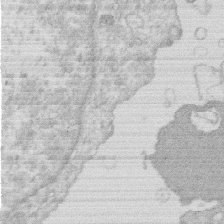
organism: Human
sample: Macrophage cells